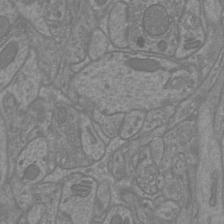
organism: Mouse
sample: Cortical neurons